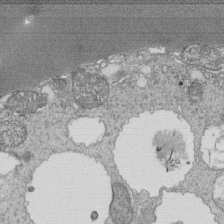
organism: Tetrahymena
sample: Cilia in tetrahymena